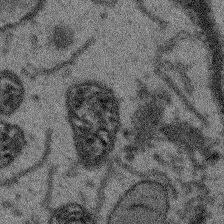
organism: Arabidopsis thaliana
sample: Root tip